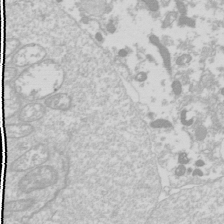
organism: Drosophila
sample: Cell division; meiosis; drosophila spermatocytes